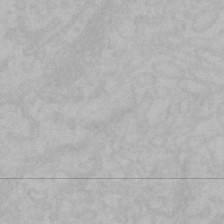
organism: Mouse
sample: Choroid plexus